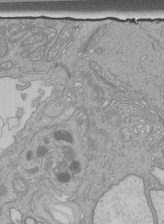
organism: Human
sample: Retinal organoid Rod and Cone cells